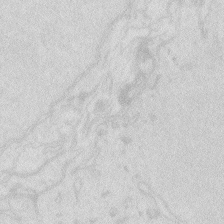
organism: Zebrafish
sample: Macrophage